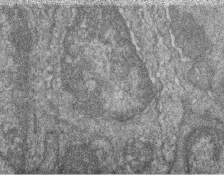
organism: Zebrafish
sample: Cilia; retinal pigment epithelium